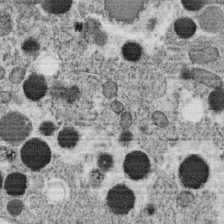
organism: C. elegans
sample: C. elegans oocyte; sperm cells